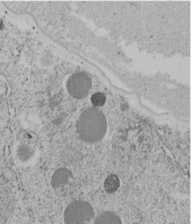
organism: C. elegans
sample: C. elegans embryo early stage